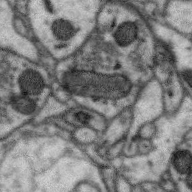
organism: Zebra finch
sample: Brain